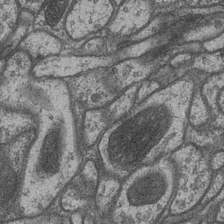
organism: Drosophila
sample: Optic medulla